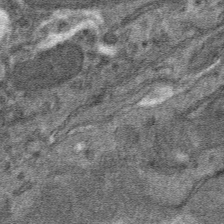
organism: Mouse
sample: Mouse hepatocytes